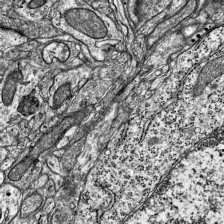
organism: Mouse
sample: Visual Cortex